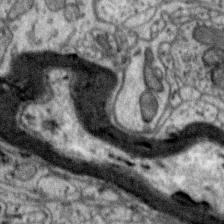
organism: Zebra finch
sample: Brain